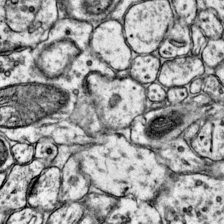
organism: Mouse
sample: Primary visual cortex